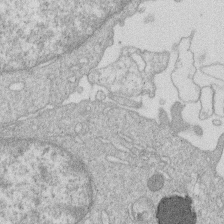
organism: Human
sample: Macrophage cells